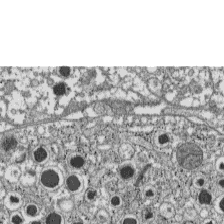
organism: C57BL Mouse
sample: Pancreatic islet